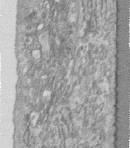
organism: Human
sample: Centriole in fibroblast cells